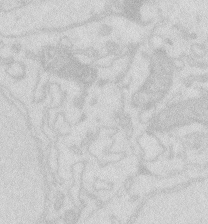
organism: Zebrafish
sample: Macrophage